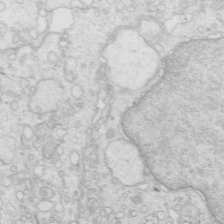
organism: Mouse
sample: Multiciliated cells